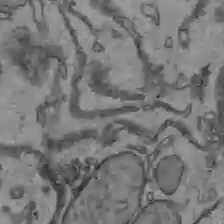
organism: C57BL Mouse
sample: Liver